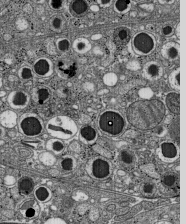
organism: C57BL Mouse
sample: Pancreatic islet